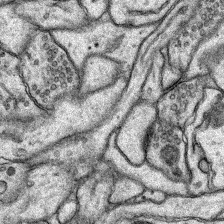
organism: Rat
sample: Hippocampus